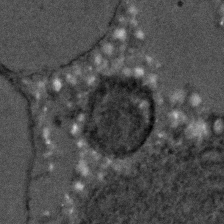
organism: C. elegans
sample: C. elegans embryo